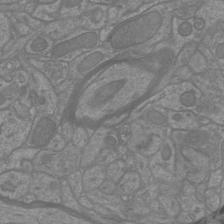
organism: Mouse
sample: Cortical neurons